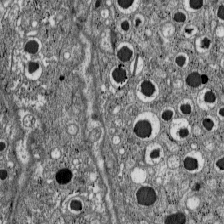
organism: C57BL Mouse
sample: Pancreatic islet